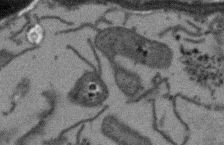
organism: Arabidopsis thaliana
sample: Root tip